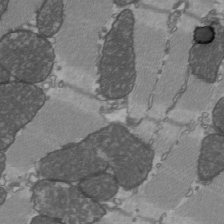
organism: C57BL Mouse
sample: Heart